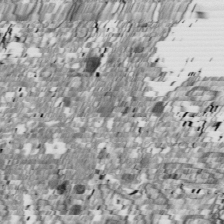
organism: Drosophila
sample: Cell division; meiosis; drosophila spermatocytes